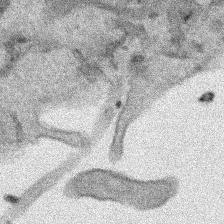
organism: Human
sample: Mitochondria in HCT116 cells